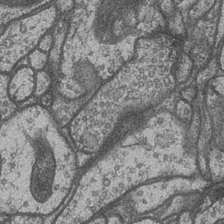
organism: Drosophila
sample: Optic medulla